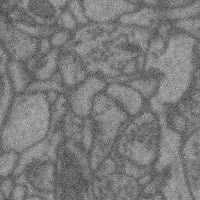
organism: Mouse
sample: Cerebral cortex